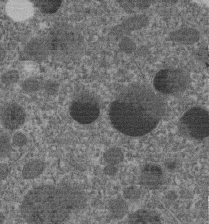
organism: C. elegans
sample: C. elegans embryo early stage